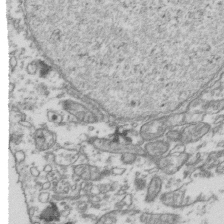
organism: Human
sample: Activated Jurkat CD4+ T cells